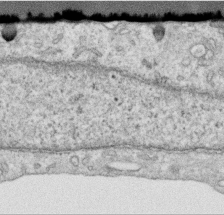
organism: Human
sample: Centriole in RPE cells